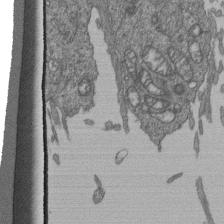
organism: Human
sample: Retinal organoid Rod and Cone cells